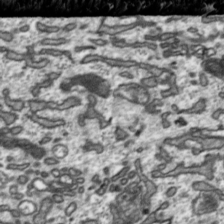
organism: Toxoplasma gondii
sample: Parasites in a vacuole inside a host cell